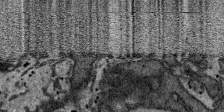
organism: Human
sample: Lung epithelial cells, uninfected (mock) control